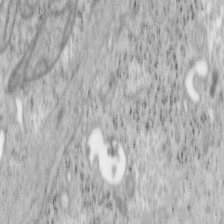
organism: Human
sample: HeLa cells